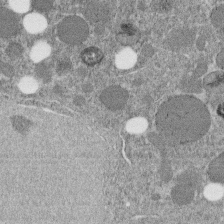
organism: C. elegans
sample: C. elegans embryo early stage